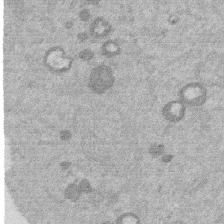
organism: Mouse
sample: Dividing mouse embryo 1 cell stage